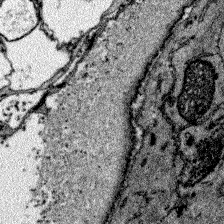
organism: Zebrafish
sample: Larval olfactory bulb